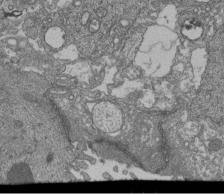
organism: Human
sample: Retinal organoid Rod and Cone cells